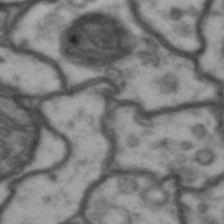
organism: Drosophila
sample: Brain